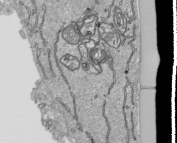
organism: Human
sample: Mitochondria in HCT116 cells